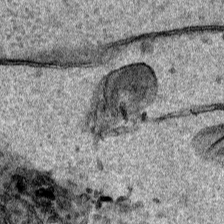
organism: Human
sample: Mitochondria in HCT116 cells